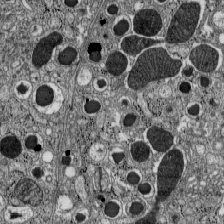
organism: C57BL Mouse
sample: Pancreatic islet